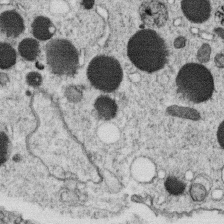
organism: C. elegans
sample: C. elegans oocyte; sperm cells